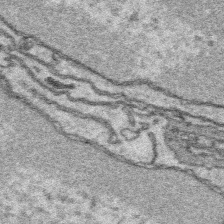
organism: Platynereis dumerilii